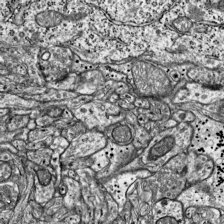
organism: Mouse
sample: Visual Cortex